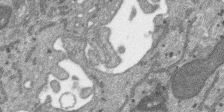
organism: Human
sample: Lung epithelial cells infected with SARS-CoV-2